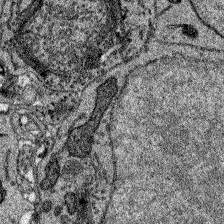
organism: Zebrafish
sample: Larval olfactory bulb